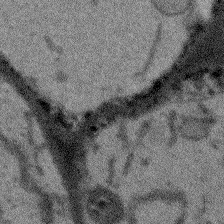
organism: Arabidopsis thaliana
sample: Root tip